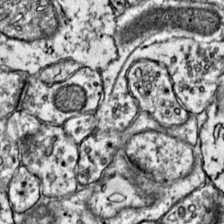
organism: Mouse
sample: Primary visual cortex